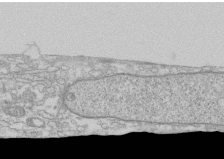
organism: Human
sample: CRL-1474